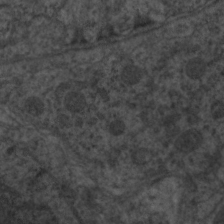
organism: C. elegans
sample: Pharynx